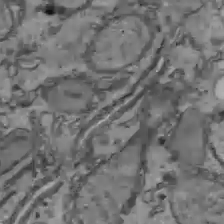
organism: C57BL Mouse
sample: Liver